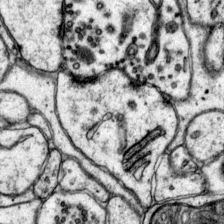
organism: Mouse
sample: Primary visual cortex